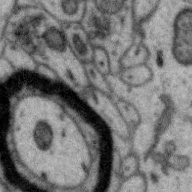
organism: Zebra finch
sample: Brain